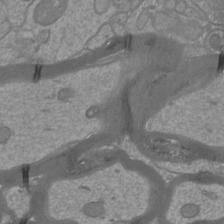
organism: Mouse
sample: Cortical neurons